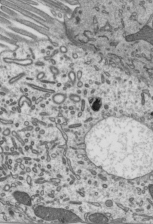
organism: Mouse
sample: Mouse epididymis efferent ductule cilia